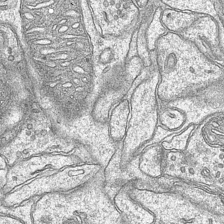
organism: Mouse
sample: CA1 Hippocampus